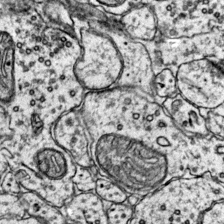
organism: Mouse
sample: Primary visual cortex